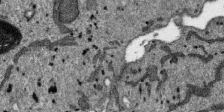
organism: Human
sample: Lung epithelial cells, uninfected (mock) control